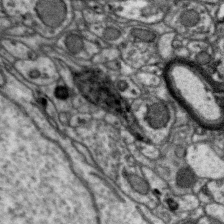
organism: Zebra finch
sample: Brain